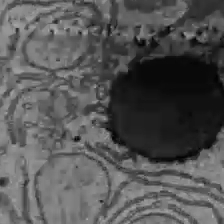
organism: C57BL Mouse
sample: Liver